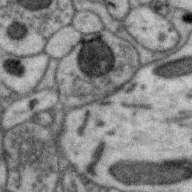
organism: Zebra finch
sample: Brain